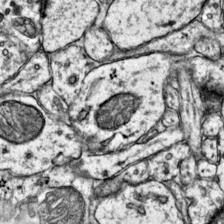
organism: Mouse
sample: Primary visual cortex